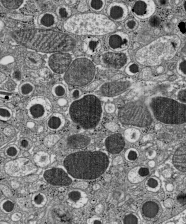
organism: C57BL Mouse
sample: Pancreatic islet